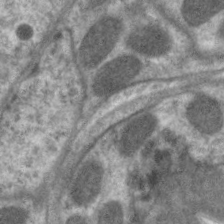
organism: C. elegans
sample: Pharynx